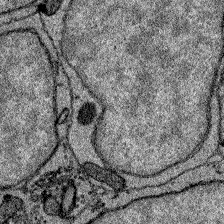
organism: Zebrafish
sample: Larval olfactory bulb